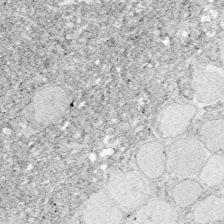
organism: Zebrafish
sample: Whole-Brain